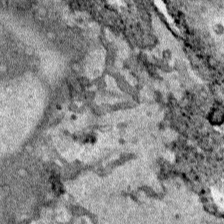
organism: Human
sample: Mitochondria in HCT116 cells